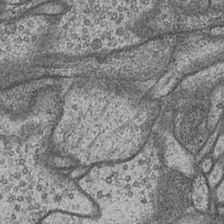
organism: Drosophila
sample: Optic medulla